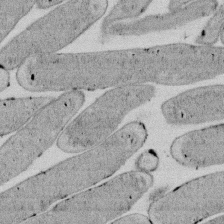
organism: E. coli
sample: Bacterial nucleoid